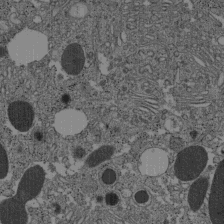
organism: C57BL Mouse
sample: Pancreatic islet